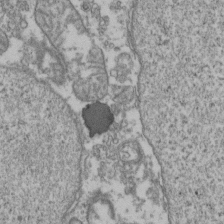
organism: Human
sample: Activated Jurkat CD4+ T cells